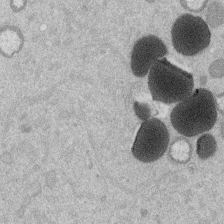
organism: Mouse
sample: Dividing mouse embryo 1 cell stage